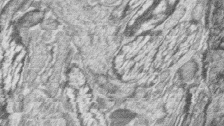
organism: Zebrafish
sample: synaptic ribbons in rod cells and cone cells